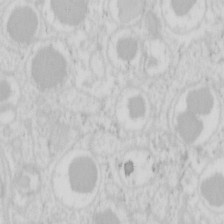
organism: Mouse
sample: Pancreas